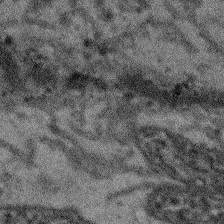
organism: Arabidopsis thaliana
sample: Root tip